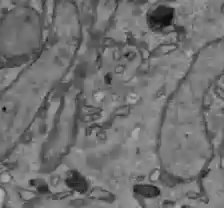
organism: C57BL Mouse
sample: Liver